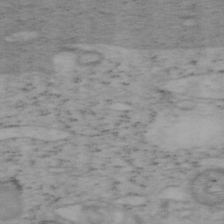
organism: Mouse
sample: OT-I killer T cells with ID8 ovarian cancer cells